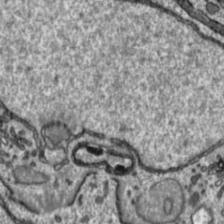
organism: Toxoplasma gondii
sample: Parasites in a vacuole inside a host cell